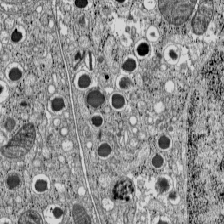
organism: C57BL Mouse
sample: Pancreatic islet